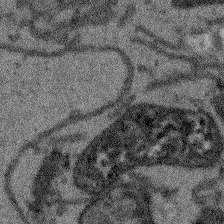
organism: Arabidopsis thaliana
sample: Root tip